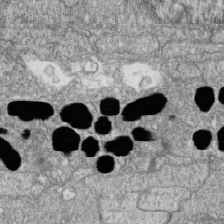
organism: Zebrafish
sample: Cilia; retinal pigment epithelium